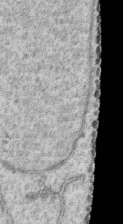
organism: Human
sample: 1205lu cells